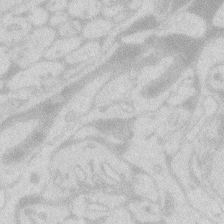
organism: Zebrafish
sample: Macrophage